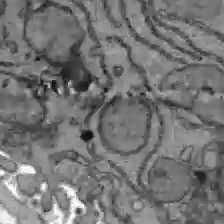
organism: C57BL Mouse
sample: Liver